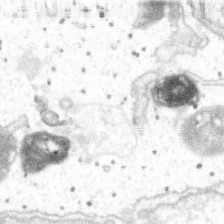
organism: Human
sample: HeLa cells